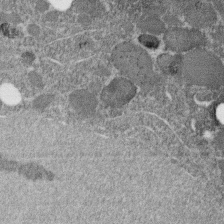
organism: C. elegans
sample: C. elegans embryo early stage